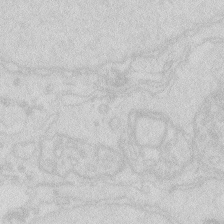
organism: Zebrafish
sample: Macrophage